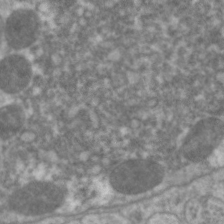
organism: C. elegans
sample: Pharynx